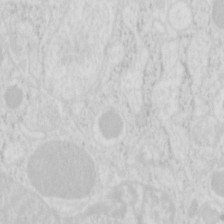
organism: Mouse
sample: Pancreas